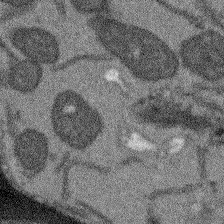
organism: Arabidopsis thaliana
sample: Root tip